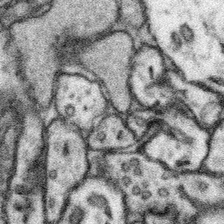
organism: Mouse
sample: Somatosensory cortex neuropil